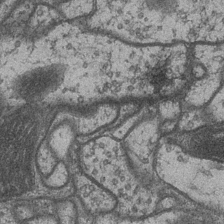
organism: Drosophila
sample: Optic medulla